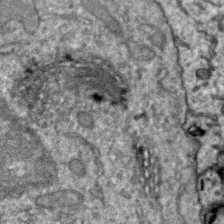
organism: Zebra finch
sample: Brain